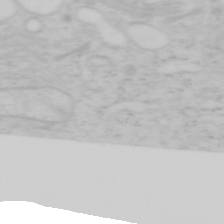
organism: Mouse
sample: OT-I killer T cells with ID8 ovarian cancer cells